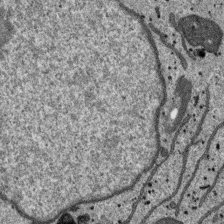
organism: Human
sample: Lung epithelial cells, uninfected (mock) control